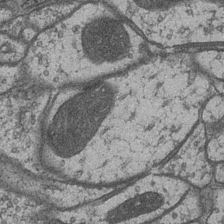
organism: Drosophila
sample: Optic medulla